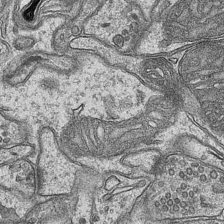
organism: Mouse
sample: CA1 Hippocampus